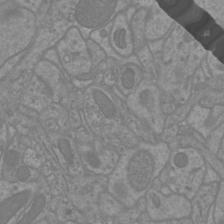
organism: Mouse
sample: Cortical neurons